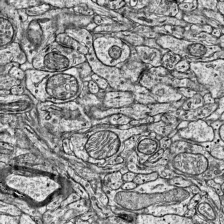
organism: Mouse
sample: Visual Cortex